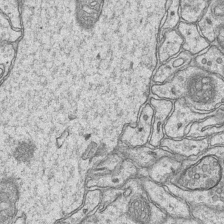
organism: Mouse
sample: CA1 Hippocampus